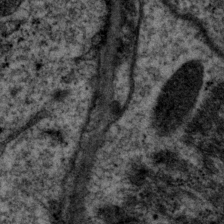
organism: P. pacificus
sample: Pharynx